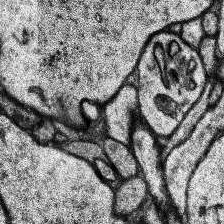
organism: Human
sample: Temporal Lobe